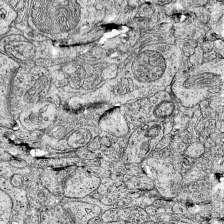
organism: Mouse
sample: Visual Cortex